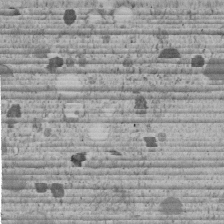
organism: C. elegans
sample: C. elegans embryo early stage